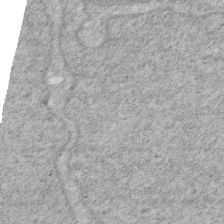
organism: Human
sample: HIV infected U937 cells